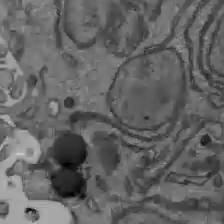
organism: C57BL Mouse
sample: Liver